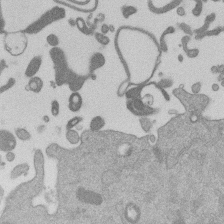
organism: Mouse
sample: Dividing mouse embryo 1 cell stage